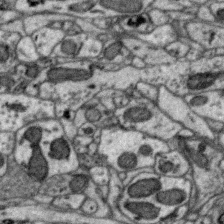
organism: Zebra finch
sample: Brain